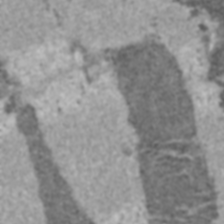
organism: C57BL Mouse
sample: Heart